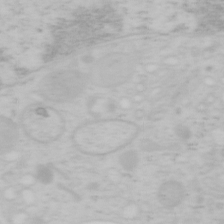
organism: Mouse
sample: OT-I killer T cells with ID8 ovarian cancer cells